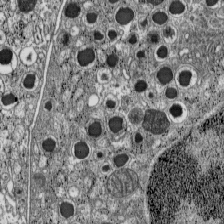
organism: C57BL Mouse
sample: Pancreatic islet